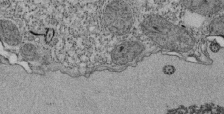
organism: Tetrahymena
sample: Cilia in tetrahymena